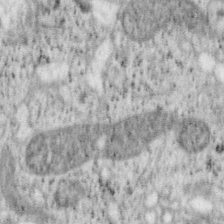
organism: Mouse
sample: OT-I killer T cells with ID8 ovarian cancer cells